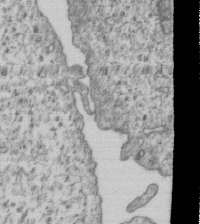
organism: Human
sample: MDA-MB-231 cells